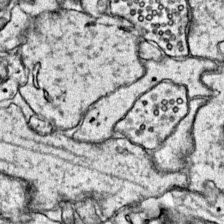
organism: Mouse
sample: Primary visual cortex